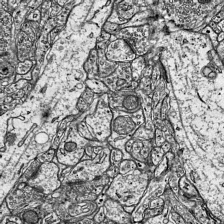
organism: Mouse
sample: Visual Cortex